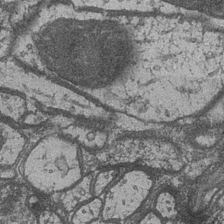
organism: Drosophila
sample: Optic medulla